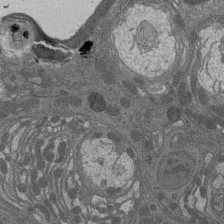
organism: Drosophila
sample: Antenna